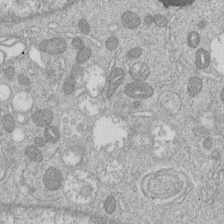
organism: Human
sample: Macrophage cells